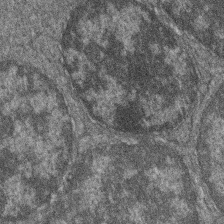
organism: Zebrafish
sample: Cilia; retinal pigment epithelium